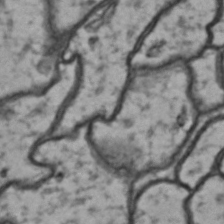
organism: Drosophila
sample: Brain